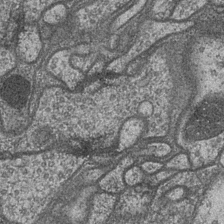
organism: Drosophila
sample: Optic medulla